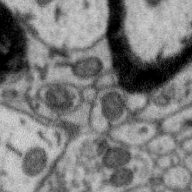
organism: Zebra finch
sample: Brain